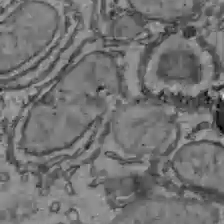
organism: C57BL Mouse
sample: Liver